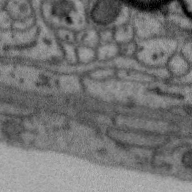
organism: Zebra finch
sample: Brain